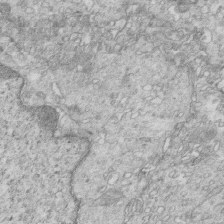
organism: Mouse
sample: Multiciliated cells